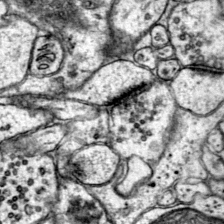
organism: Mouse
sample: Primary visual cortex